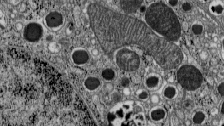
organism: C57BL Mouse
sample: Pancreatic islet